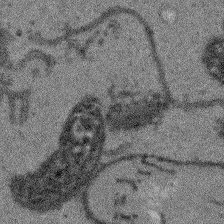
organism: Arabidopsis thaliana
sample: Root tip